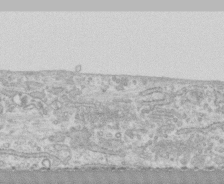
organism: Human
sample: CRL-1474